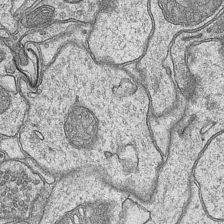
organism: Mouse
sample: CA1 Hippocampus